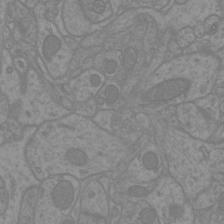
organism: Mouse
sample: Cortical neurons